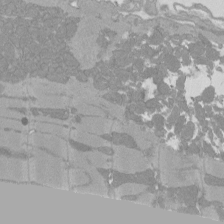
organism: Rat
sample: Left ventricle